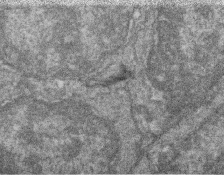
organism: Zebrafish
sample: Cilia; retinal pigment epithelium